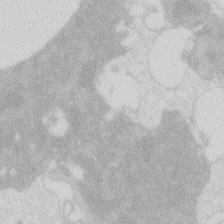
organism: Zebrafish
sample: Macrophage